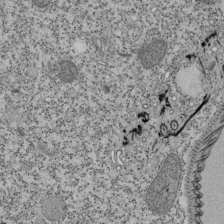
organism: Tetrahymena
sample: Cilia in tetrahymena